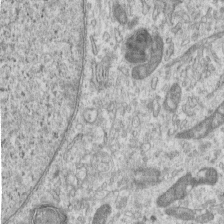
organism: Human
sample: Centriole in RPE cells